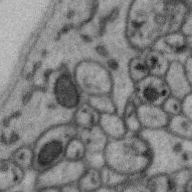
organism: Zebra finch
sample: Brain